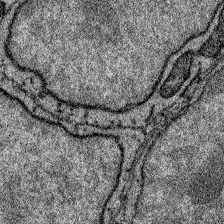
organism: Zebrafish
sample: Larval olfactory bulb